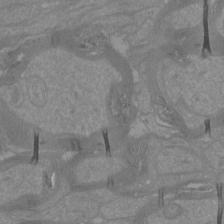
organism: Mouse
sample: Cortical neurons